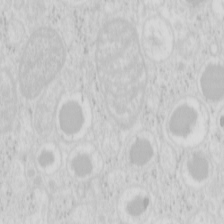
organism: Mouse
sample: Pancreas